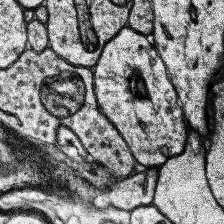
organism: Human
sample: Temporal Lobe